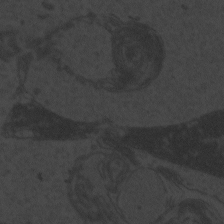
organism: Zebrafish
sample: Macrophage infected with Toxoplasma gondii